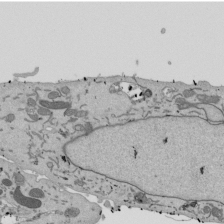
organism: Mouse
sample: ED-1 cell nuclei; centrioles